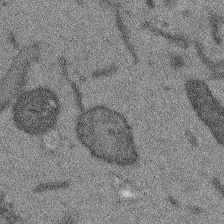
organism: Arabidopsis thaliana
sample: Root tip